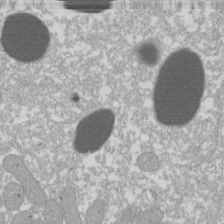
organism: Xenopus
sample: Cilia; centrioles in frog embryo cells